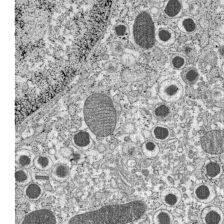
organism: C57BL Mouse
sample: Pancreatic islet